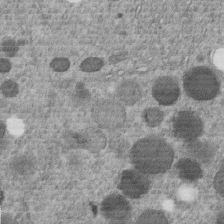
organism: C. elegans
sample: C. elegans embryo early stage